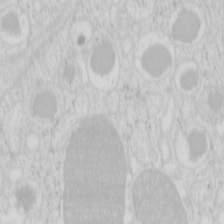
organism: Mouse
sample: Pancreas